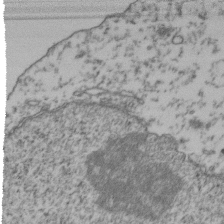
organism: Human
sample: Activated Jurkat CD4+ T cells